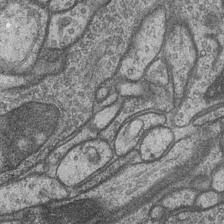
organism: Drosophila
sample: Optic medulla